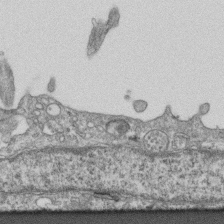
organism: Mouse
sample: Centriole in ependymal cells